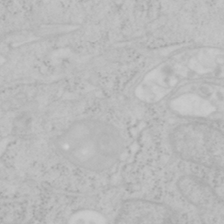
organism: Mouse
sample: OT-I killer T cells with ID8 ovarian cancer cells